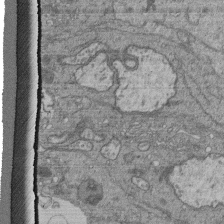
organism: Human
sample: Retinal organoid Rod and Cone cells